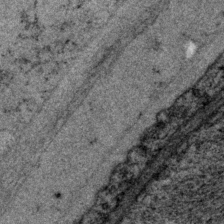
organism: P. pacificus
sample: Pharynx